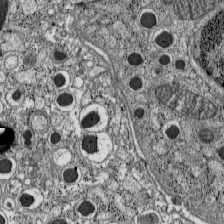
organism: C57BL Mouse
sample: Pancreatic islet